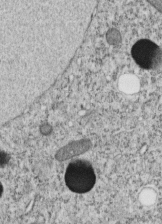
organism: C. elegans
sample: C. elegans embryo early stage